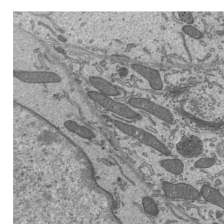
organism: Mouse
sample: Mouse epididymis efferent ductule cilia